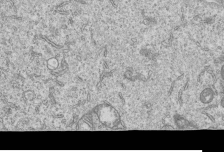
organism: Human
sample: MDA-MB-231 cells